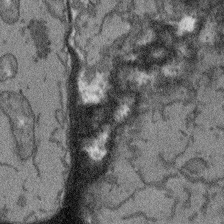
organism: Arabidopsis thaliana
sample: Root tip